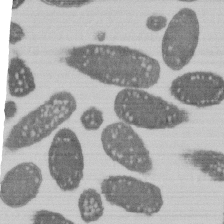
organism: E. coli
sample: Bacterial nucleoid